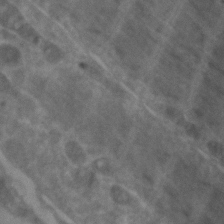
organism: Zebrafish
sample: Zebrafish embryo